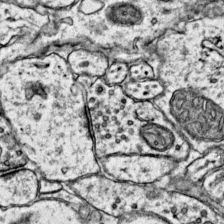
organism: Mouse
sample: Primary visual cortex